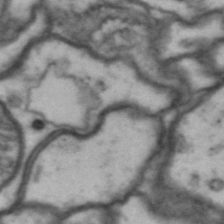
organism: Drosophila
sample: Brain